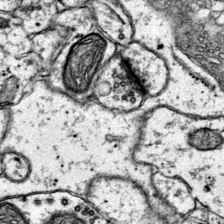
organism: Mouse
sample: Primary visual cortex